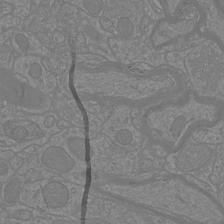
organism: Mouse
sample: Cortical neurons